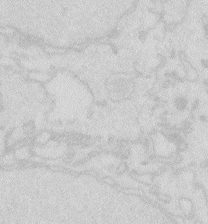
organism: Zebrafish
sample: Macrophage